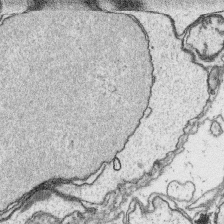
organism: Platynereis dumerilii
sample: Parapodia